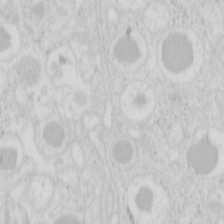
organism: Mouse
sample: Pancreas